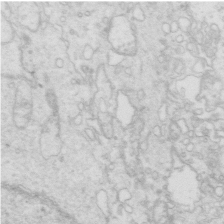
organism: Mouse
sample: Multiciliated cells